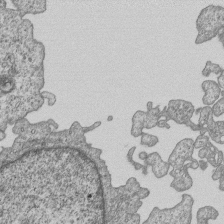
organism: Human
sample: MDA-MB-231 cells